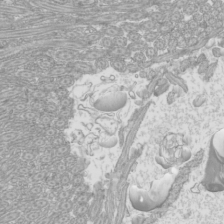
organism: Mouse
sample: Cilia; mouse epididymis